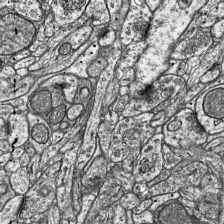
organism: Mouse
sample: Visual Cortex